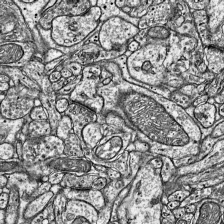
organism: Mouse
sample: Visual Cortex